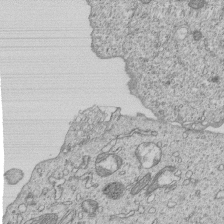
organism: Human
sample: MDA-MB-231 cells